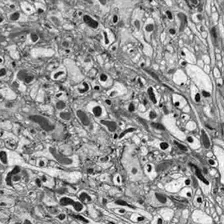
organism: Drosophila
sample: Optic lobe